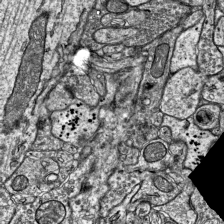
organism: Mouse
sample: Visual Cortex